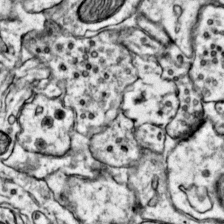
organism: Mouse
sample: Primary visual cortex